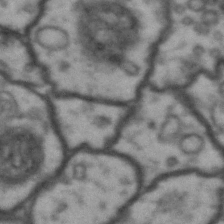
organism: Drosophila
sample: Brain